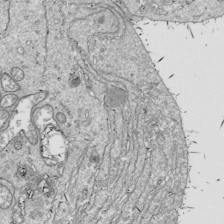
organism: Drosophila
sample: Cell division; meiosis; drosophila spermatocytes